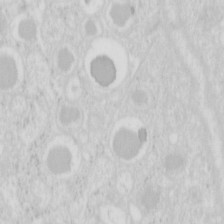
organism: Mouse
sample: Pancreas